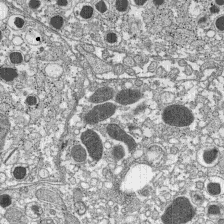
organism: C57BL Mouse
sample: Pancreatic islet